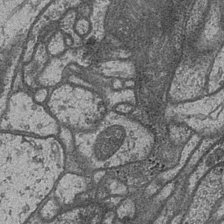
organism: Drosophila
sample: Optic medulla